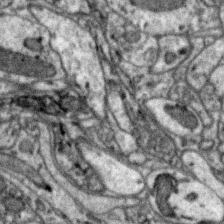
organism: Zebra finch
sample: Brain